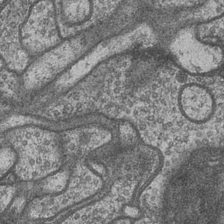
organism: Drosophila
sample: Optic medulla